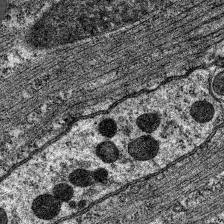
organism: C. elegans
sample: Pharynx